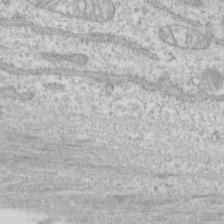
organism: Human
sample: CRL-1474